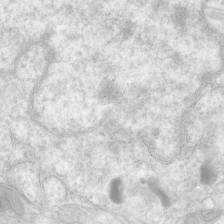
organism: Human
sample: Neocortex